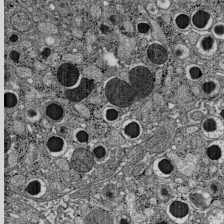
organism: C57BL Mouse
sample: Pancreatic islet